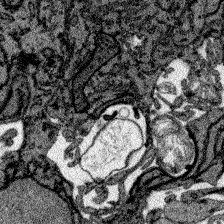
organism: Zebrafish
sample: Larval olfactory bulb